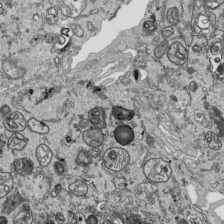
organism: Human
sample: Mitochondria in HCT116 cells